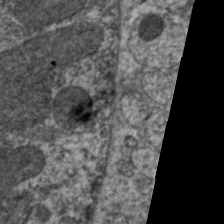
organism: C. elegans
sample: Pharynx